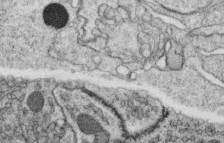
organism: C. elegans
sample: C. elegans oocyte; sperm cells